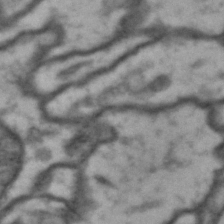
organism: Drosophila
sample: Brain